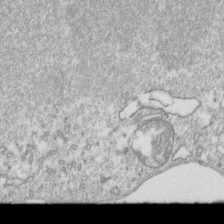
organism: Mouse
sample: Activated OT-1 CD8+ T cells